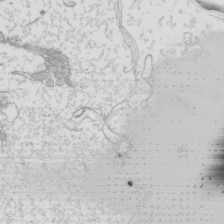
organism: Mouse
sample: Cilia; mouse epididymis